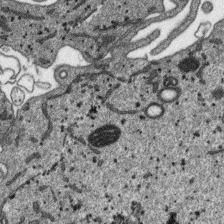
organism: Human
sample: Lung epithelial cells infected with SARS-CoV-2